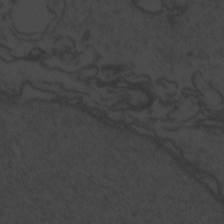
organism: Zebrafish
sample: Macrophage infected with Toxoplasma gondii